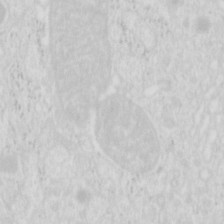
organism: Mouse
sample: Pancreas